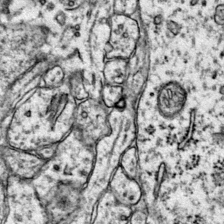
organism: Mouse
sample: Primary visual cortex